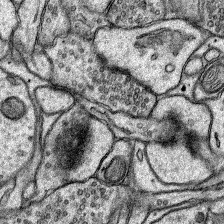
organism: Rat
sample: Hippocampus